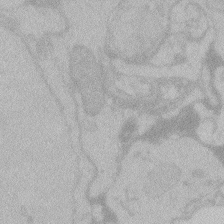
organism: Zebrafish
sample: Macrophage infected with Toxoplasma gondii